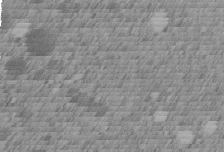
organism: C. elegans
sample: C. elegans embryo early stage